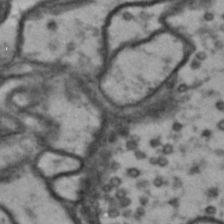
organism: Drosophila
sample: Brain